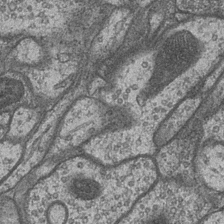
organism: Drosophila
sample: Optic medulla